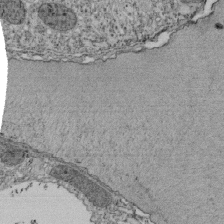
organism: Tetrahymena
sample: Cilia in tetrahymena